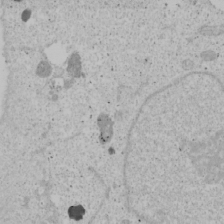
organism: Human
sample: Mitochondria in U2OS cells